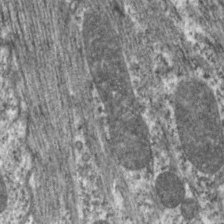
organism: C. elegans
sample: Pharynx